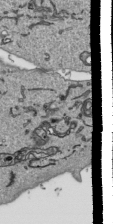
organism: Human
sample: Mitochondria in HCT116 cells